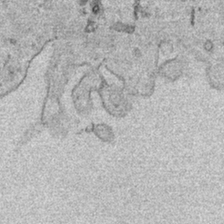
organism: Human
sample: Mitochondria in HCT116 cells